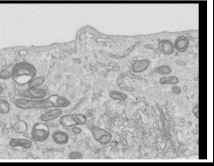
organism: Human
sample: Centriole in RPE cells